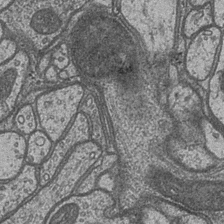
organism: Drosophila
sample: Optic medulla